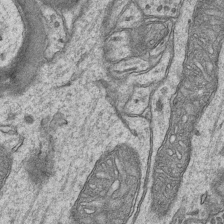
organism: Mouse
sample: CA1 Hippocampus